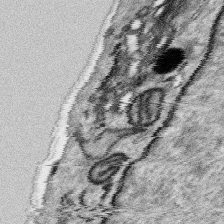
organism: Human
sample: HeLa cells